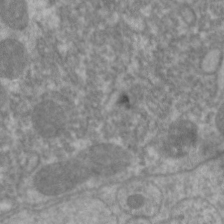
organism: C. elegans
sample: Pharynx